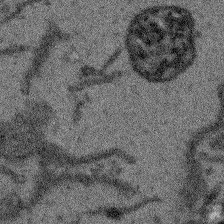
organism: Arabidopsis thaliana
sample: Root tip